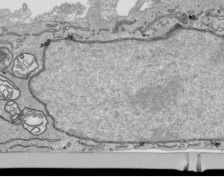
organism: Human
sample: Mitochondria in HCT116 cells